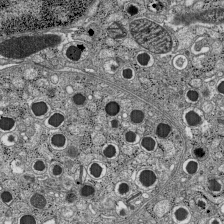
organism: C57BL Mouse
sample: Pancreatic islet